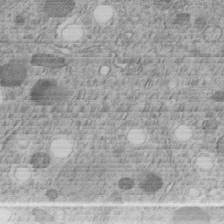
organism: C. elegans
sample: C. elegans embryo early stage